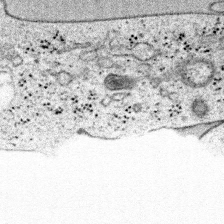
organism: Human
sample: HeLa cells